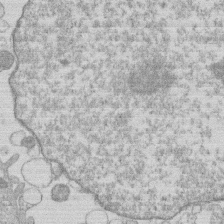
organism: Human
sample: Macrophage cells